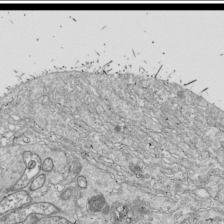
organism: Drosophila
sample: Cell division; meiosis; drosophila spermatocytes